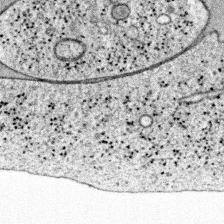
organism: Human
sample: HeLa cells